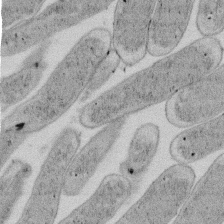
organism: E. coli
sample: Bacterial nucleoid